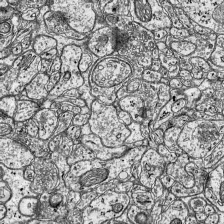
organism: Mouse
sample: Visual Cortex